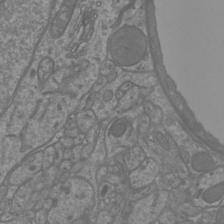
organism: Mouse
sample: Cortical neurons